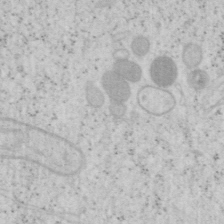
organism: Human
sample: HeLa cells